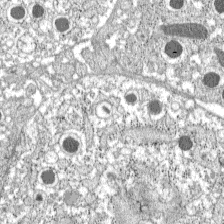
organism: C57BL Mouse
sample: Pancreatic islet